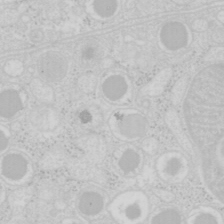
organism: Mouse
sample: Pancreas